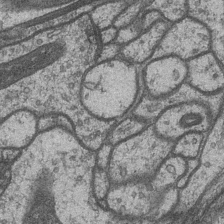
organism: Drosophila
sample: Optic medulla